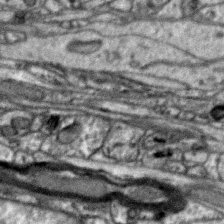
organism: Zebra finch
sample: Brain